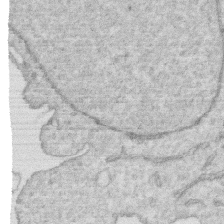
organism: Human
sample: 1205lu cells